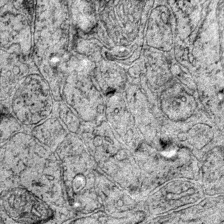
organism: Mouse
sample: Primary visual cortex